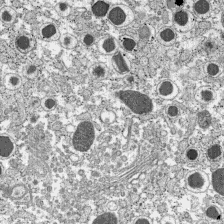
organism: C57BL Mouse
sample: Pancreatic islet